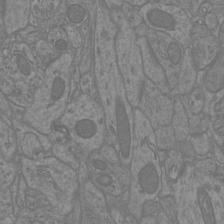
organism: Mouse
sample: Cortical neurons